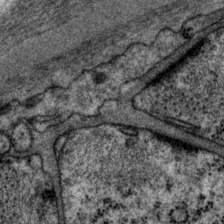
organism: P. pacificus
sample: Pharynx